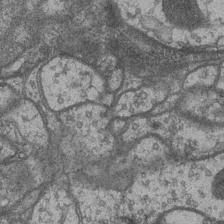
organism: Drosophila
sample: Optic medulla